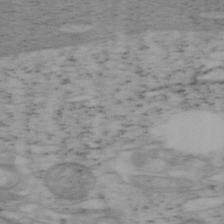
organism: Mouse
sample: OT-I killer T cells with ID8 ovarian cancer cells